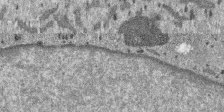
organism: Human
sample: Lung epithelial cells infected with SARS-CoV-2